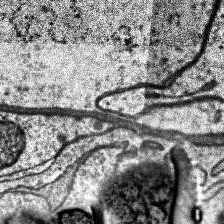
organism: Human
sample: Temporal Lobe